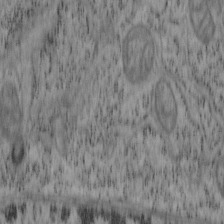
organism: Human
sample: HeLa cells